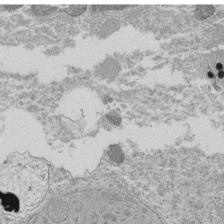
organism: Tetrahymena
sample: Cilia in tetrahymena